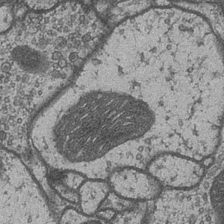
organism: Drosophila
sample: Optic medulla